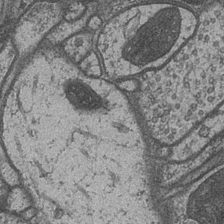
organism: Drosophila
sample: Optic medulla